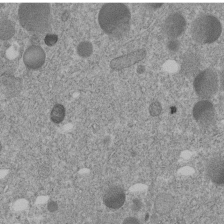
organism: C. elegans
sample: C. elegans embryo early stage